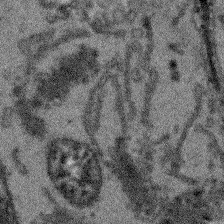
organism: Arabidopsis thaliana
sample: Root tip